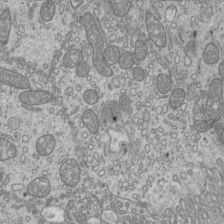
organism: Mouse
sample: Cilia; mouse epididymis